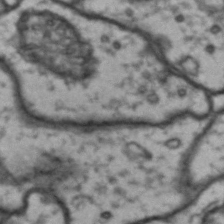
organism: Drosophila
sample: Brain